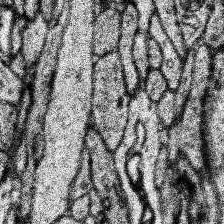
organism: Human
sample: Temporal Lobe